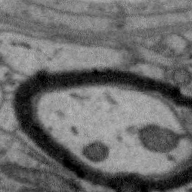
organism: Zebra finch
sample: Brain